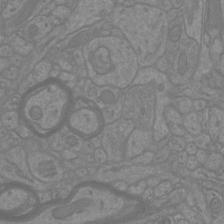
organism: Mouse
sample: Cortical neurons